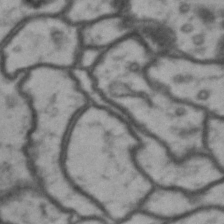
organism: Drosophila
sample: Brain